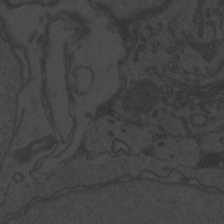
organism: Zebrafish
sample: Macrophage infected with Toxoplasma gondii